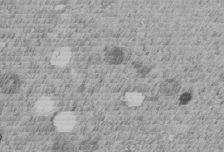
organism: C. elegans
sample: C. elegans embryo early stage